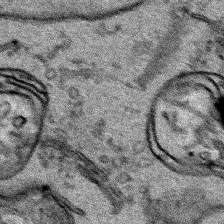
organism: Human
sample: Mitochondria in HCT116 cells